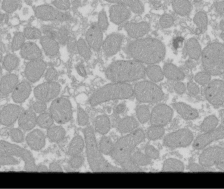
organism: Xenopus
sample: Cilia; centrioles in frog embryo cells